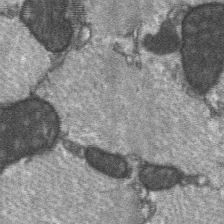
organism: C57BL Mouse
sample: Soleus